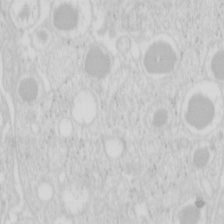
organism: Mouse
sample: Pancreas